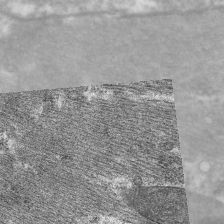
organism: C. elegans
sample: Pharynx